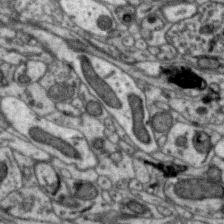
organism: Zebra finch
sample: Brain